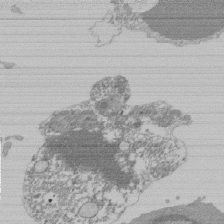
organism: Mouse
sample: Activated Pmel transgenic CD8+ T Cells